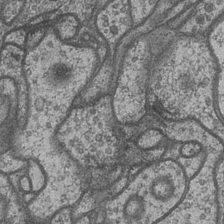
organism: Drosophila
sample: Optic medulla